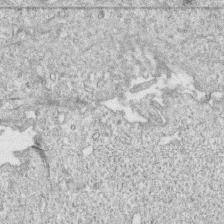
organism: Human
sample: HeLa cell HIV synapse